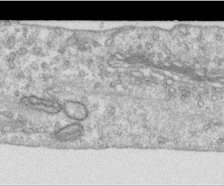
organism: Human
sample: Centriole in RPE cells